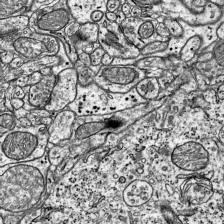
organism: Mouse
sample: Visual Cortex